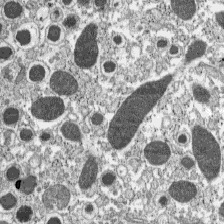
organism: C57BL Mouse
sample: Pancreatic islet